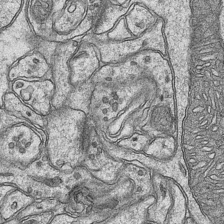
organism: Mouse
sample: CA1 Hippocampus